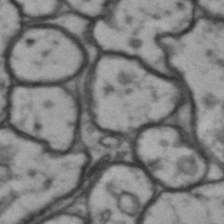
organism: Drosophila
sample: Brain